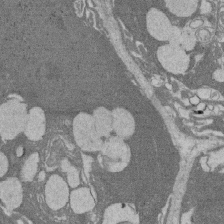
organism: Rat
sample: Salivary granule